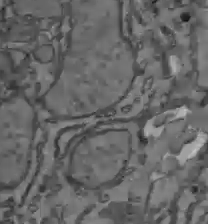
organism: C57BL Mouse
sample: Liver